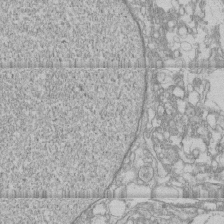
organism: Human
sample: CRL-1474